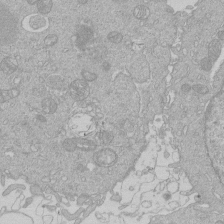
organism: Human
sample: Macrophage cells